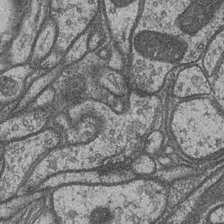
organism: Drosophila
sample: Optic medulla